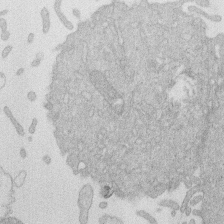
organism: Human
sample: Macrophage cells